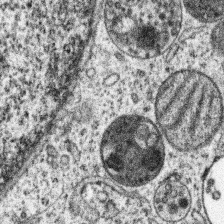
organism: Human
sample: HeLa cells